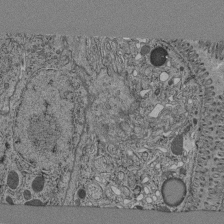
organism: C. elegans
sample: C. elegans pharynx